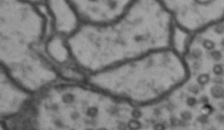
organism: Drosophila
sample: Brain